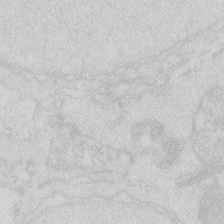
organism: Zebrafish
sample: Macrophage